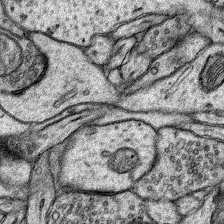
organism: Rat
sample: Hippocampus